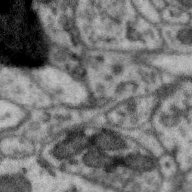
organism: Zebra finch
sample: Brain